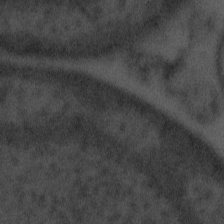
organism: Tuwongella immobilis